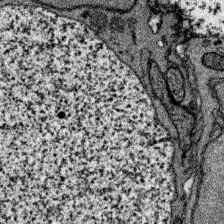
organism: Zebrafish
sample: Larval olfactory bulb